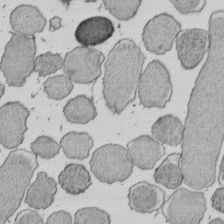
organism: E. coli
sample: Bacterial nucleoid